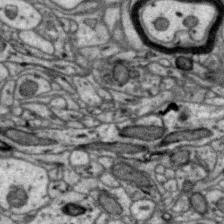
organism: Zebra finch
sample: Brain